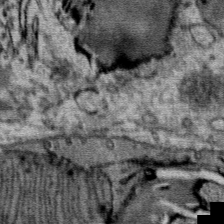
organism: Mouse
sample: Mouse Salivary gland